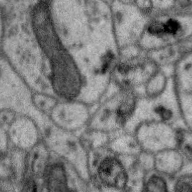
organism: Zebra finch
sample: Brain